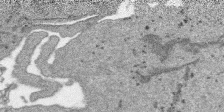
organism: Human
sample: Lung epithelial cells infected with SARS-CoV-2